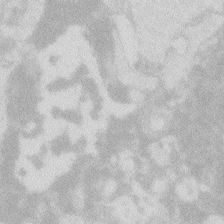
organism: Zebrafish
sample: Macrophage